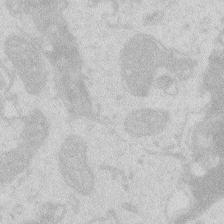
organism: Zebrafish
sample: Macrophage